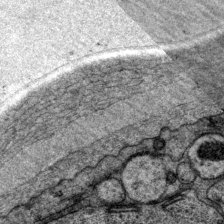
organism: P. pacificus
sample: Pharynx